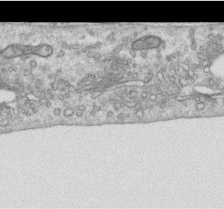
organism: Human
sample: Centriole in RPE cells